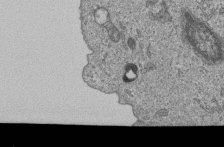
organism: Human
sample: MDA-MB-231 cells